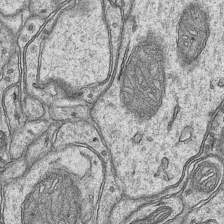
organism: Mouse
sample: CA1 Hippocampus